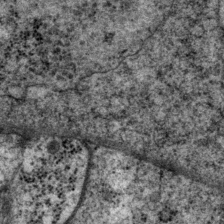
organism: P. pacificus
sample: Pharynx